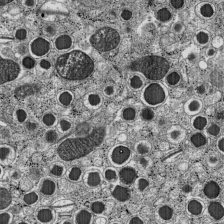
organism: C57BL Mouse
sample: Pancreatic islet